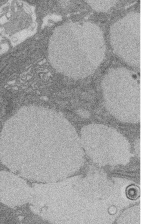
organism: Rat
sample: Salivary granule